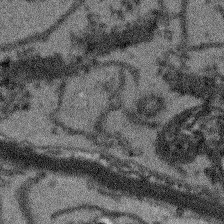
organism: Arabidopsis thaliana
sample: Root tip